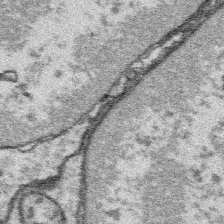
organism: Platynereis dumerilii